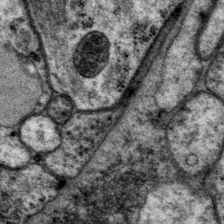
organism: P. pacificus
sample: Pharynx